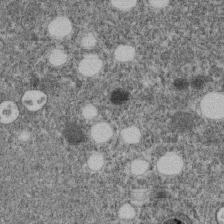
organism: C. elegans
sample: C. elegans embryo early stage